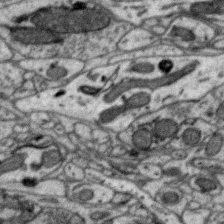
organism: Zebra finch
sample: Brain